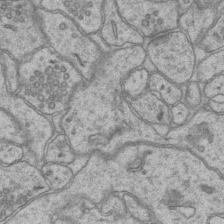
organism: Mouse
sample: CA1 Hippocampus